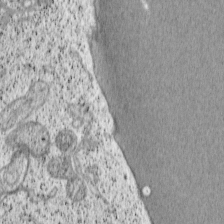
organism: African green monkey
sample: COS-7 cells